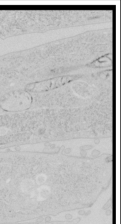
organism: Human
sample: Mitochondria in HCT116 cells